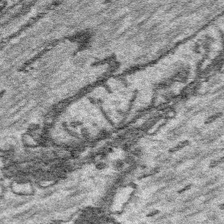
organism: Platynereis dumerilii